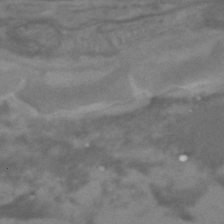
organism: C. elegans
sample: C. elegans embryo